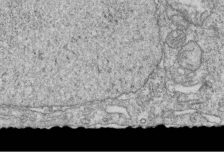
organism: Human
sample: HeLa cell HIV synapse